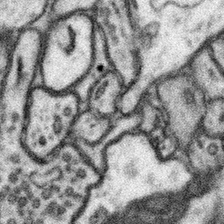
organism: Mouse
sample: Somatosensory cortex neuropil